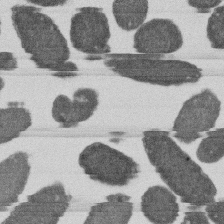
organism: E. coli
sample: Bacterial nucleoid